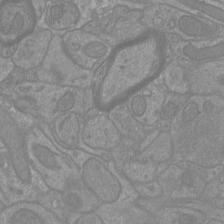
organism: Mouse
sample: Cortical neurons